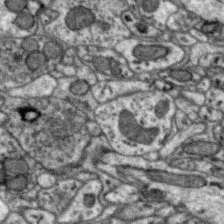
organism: Zebra finch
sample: Brain